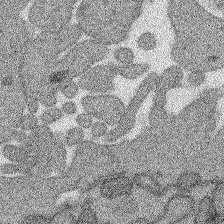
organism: Human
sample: HeLa cells